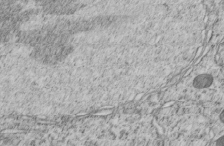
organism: C. elegans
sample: C. elegans embryo early stage